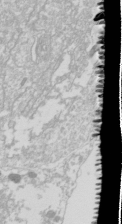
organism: Drosophila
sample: Cell division; meiosis; drosophila spermatocytes